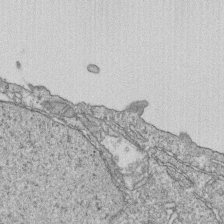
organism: Human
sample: HeLa cell HIV synapse